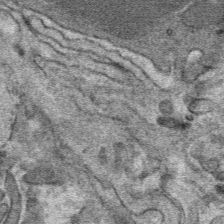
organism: Mouse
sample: Mouse hepatocytes